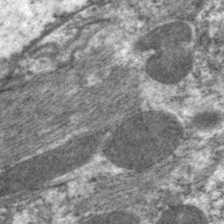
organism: C. elegans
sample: Pharynx